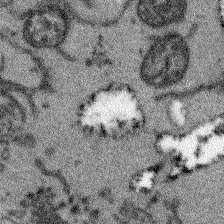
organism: Arabidopsis thaliana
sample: Root tip